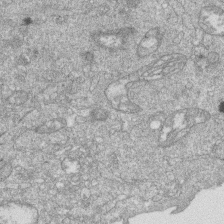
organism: Human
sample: HeLa cell HIV synapse